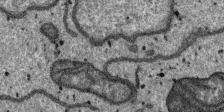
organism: Human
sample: Lung epithelial cells, uninfected (mock) control